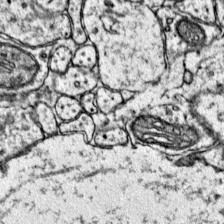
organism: Mouse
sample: Primary visual cortex